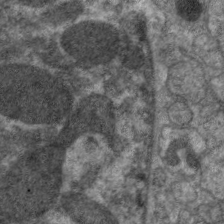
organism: C. elegans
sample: Pharynx